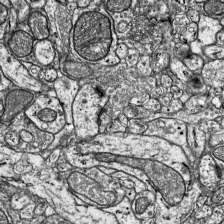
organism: Mouse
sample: Visual Cortex